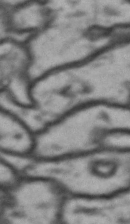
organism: Drosophila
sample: Brain